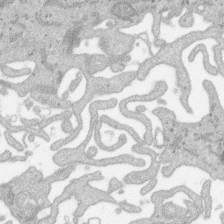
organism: Human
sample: Lung epithelial cells infected with SARS-CoV-2